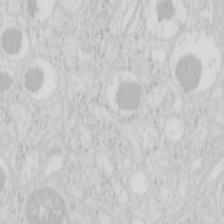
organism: Mouse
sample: Pancreas